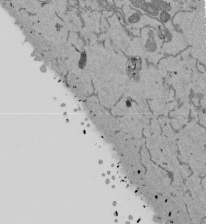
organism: Mouse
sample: ED-1 cell nuclei; centrioles